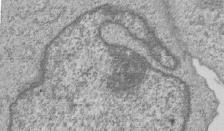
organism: Human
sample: MDA-MB-231 cells